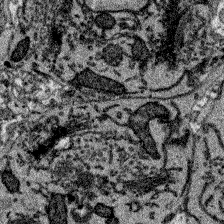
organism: Zebrafish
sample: Larval olfactory bulb